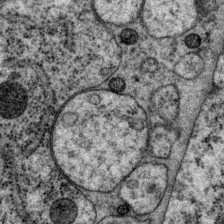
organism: P. pacificus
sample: Pharynx